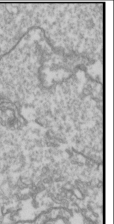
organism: Drosophila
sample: Cell division; meiosis; drosophila spermatocytes